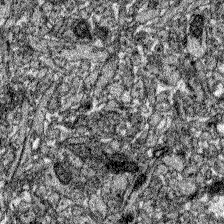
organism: Zebrafish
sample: Larval olfactory bulb